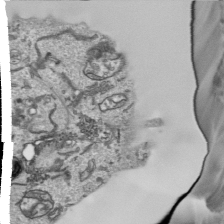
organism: Human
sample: Mitochondria in HCT116 cells